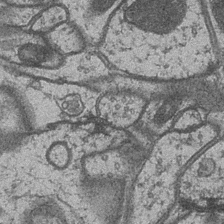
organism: Drosophila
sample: Optic medulla